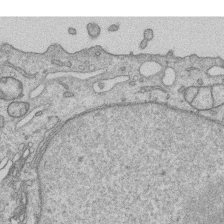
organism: Human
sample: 1205lu cells